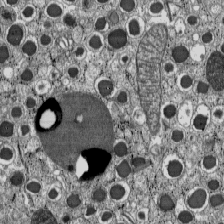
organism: C57BL Mouse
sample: Pancreatic islet